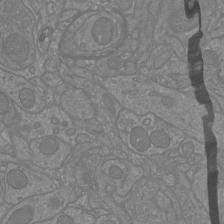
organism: Mouse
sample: Cortical neurons